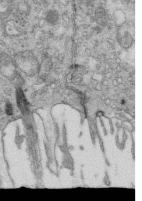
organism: Mouse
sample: Multiciliated cells